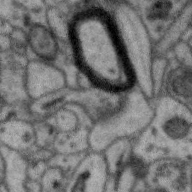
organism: Zebra finch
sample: Brain